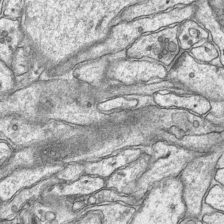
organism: Mouse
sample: CA1 Hippocampus